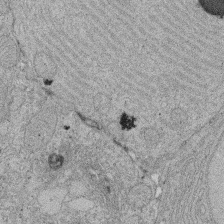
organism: Rat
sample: Salivary granule